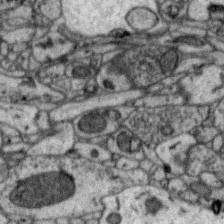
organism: Zebra finch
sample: Brain